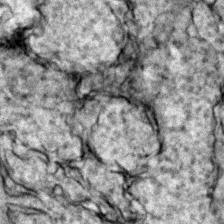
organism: Zebrafish